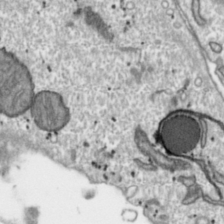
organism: Toxoplasma gondii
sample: Parasites in a vacuole inside a host cell